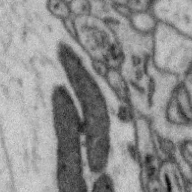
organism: Zebra finch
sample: Brain